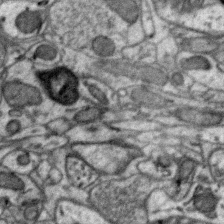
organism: Zebra finch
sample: Brain